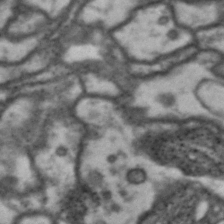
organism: Drosophila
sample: Brain